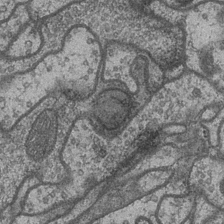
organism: Drosophila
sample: Optic medulla